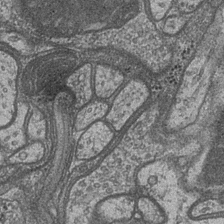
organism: Drosophila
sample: Optic medulla